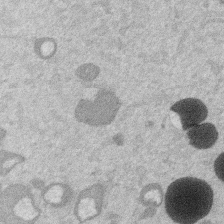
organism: Mouse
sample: Dividing mouse embryo 1 cell stage